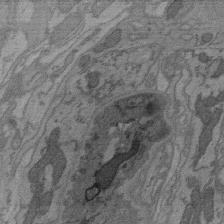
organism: C. elegans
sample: AFD neurons C. elegans